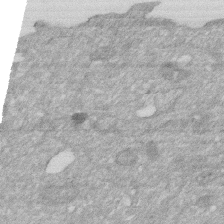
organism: Human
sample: HIV infected U937 cells